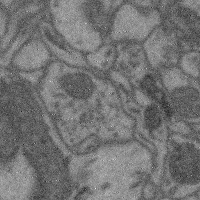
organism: Mouse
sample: Cerebral cortex